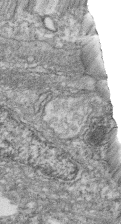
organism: Zebrafish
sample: Cilia; retinal pigment epithelium